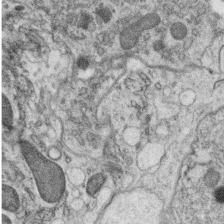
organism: C. elegans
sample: C. elegans oocyte; sperm cells